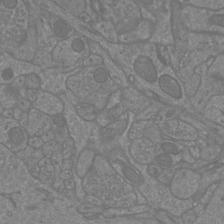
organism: Mouse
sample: Cortical neurons